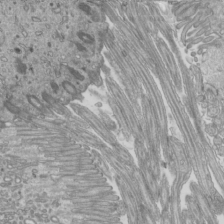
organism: Mouse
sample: Cilia; mouse epididymis